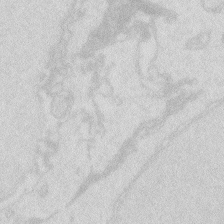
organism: Zebrafish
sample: Macrophage